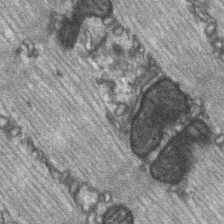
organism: C57BL Mouse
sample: Soleus